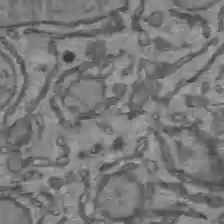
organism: C57BL Mouse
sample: Liver